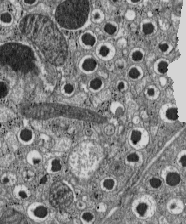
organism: C57BL Mouse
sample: Pancreatic islet